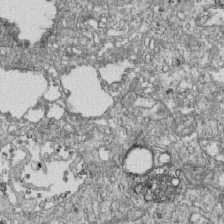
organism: Human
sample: HeLa cell HIV synapse